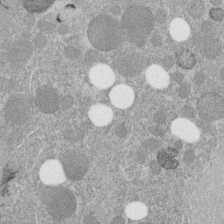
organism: C. elegans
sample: C. elegans embryo early stage